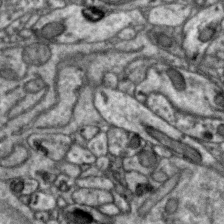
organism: Zebra finch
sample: Brain